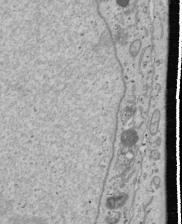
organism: Human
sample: Mitochondria in U2OS cells